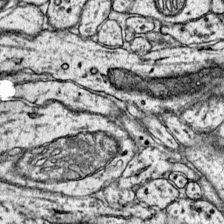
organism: Mouse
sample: Primary visual cortex